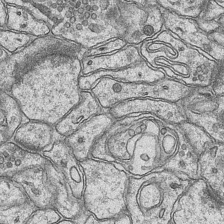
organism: Mouse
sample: CA1 Hippocampus